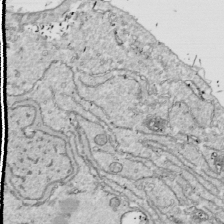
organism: Drosophila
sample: Cell division; meiosis; drosophila spermatocytes